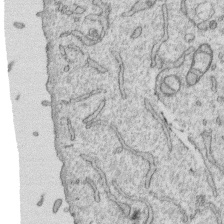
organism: Human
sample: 1205lu cells